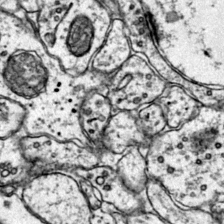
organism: Mouse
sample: Primary visual cortex